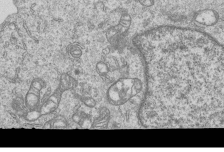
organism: Human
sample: MDA-MB-231 cells